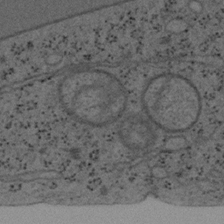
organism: Human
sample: HeLa cells